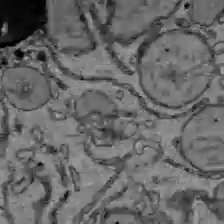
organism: C57BL Mouse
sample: Liver